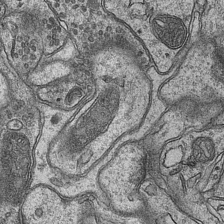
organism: Mouse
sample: CA1 Hippocampus